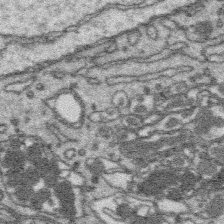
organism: Platynereis dumerilii